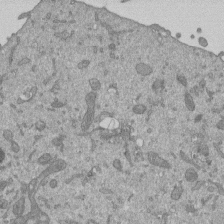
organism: Mouse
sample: ED-1 cell nuclei; centrioles